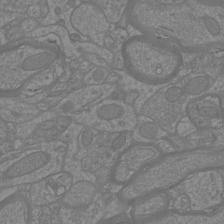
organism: Mouse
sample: Cortical neurons